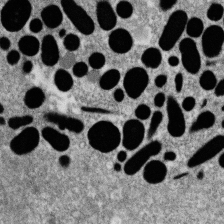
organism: Zebrafish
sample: Cilia; retinal pigment epithelium